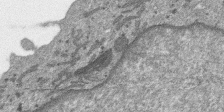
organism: Human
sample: Lung epithelial cells infected with SARS-CoV-2